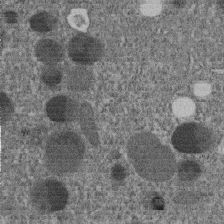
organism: C. elegans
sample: C. elegans embryo early stage